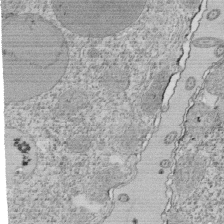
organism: Tetrahymena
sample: Cilia in tetrahymena